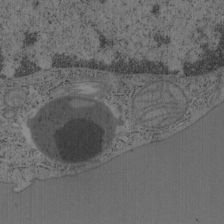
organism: Mouse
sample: OT-I killer T cells with ID8 ovarian cancer cells